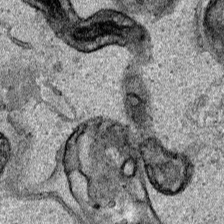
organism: Human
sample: Mitochondria in HCT116 cells